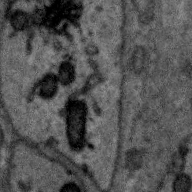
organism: Zebra finch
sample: Brain